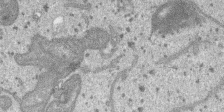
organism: Human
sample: Lung epithelial cells infected with SARS-CoV-2